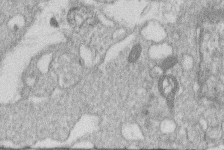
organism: Human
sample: Macrophage cells